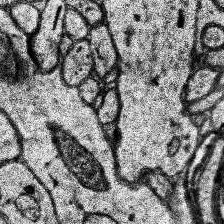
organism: Human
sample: Temporal Lobe